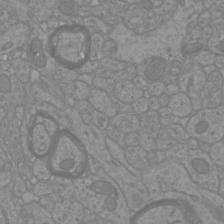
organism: Mouse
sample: Cortical neurons